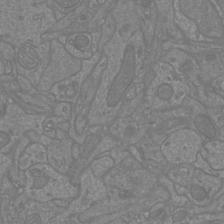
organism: Mouse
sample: Cortical neurons